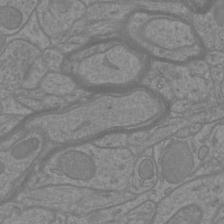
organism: Mouse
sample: Cortical neurons